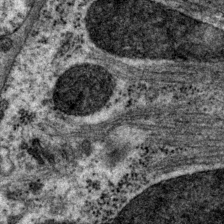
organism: P. pacificus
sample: Pharynx